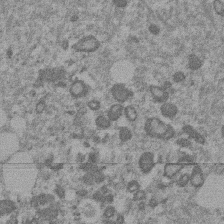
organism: Mouse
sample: Dividing mouse embryo 1 cell stage